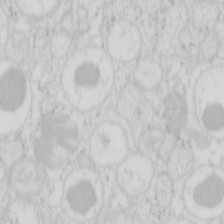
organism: Mouse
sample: Pancreas